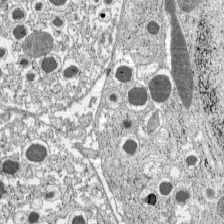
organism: C57BL Mouse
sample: Pancreatic islet